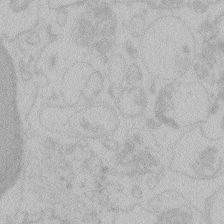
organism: Zebrafish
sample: Macrophage infected with Toxoplasma gondii